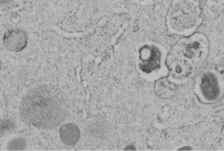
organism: C. elegans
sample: C. elegans embryo early stage